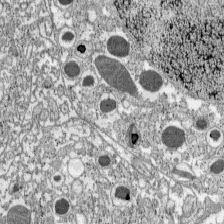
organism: C57BL Mouse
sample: Pancreatic islet